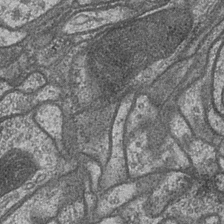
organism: Drosophila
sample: Optic medulla